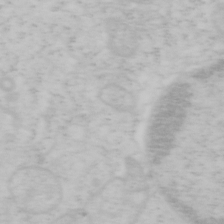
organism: Mouse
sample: OT-I killer T cells with ID8 ovarian cancer cells